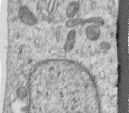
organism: Human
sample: Centriole in RPE cells